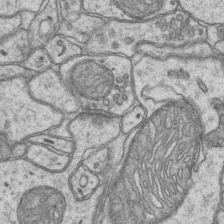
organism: Mouse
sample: CA1 Hippocampus